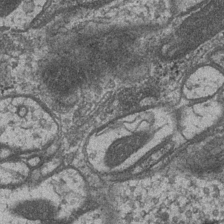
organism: Drosophila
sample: Optic medulla